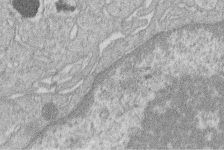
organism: Human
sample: Macrophage cells